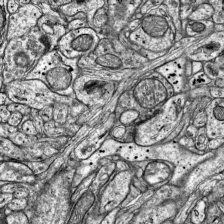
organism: Mouse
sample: Visual Cortex